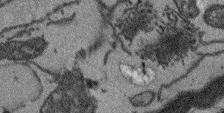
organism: Arabidopsis thaliana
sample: Root tip